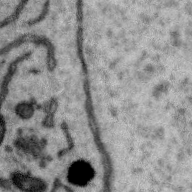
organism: Zebra finch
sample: Brain